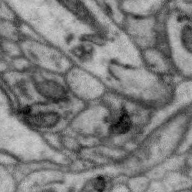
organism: Zebra finch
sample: Brain